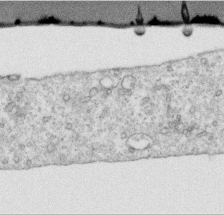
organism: Human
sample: Centriole in RPE cells